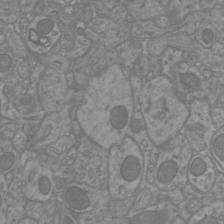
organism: Mouse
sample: Cortical neurons